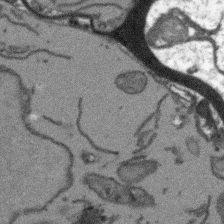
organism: Arabidopsis thaliana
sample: Root tip